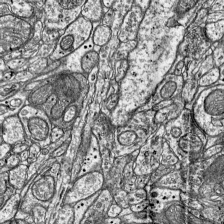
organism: Mouse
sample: Visual Cortex